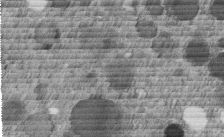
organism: C. elegans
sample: C. elegans embryo early stage